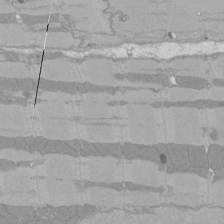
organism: Rat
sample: Left ventricle